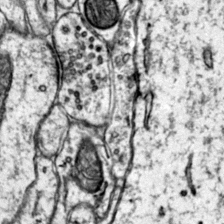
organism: Mouse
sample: Primary visual cortex